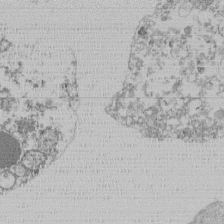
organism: Mouse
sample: Activated Pmel transgenic CD8+ T Cells